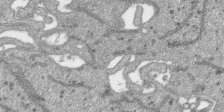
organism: Human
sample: Lung epithelial cells infected with SARS-CoV-2